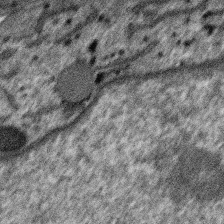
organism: Human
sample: Lung epithelial cells infected with SARS-CoV-2